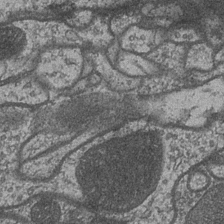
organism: Drosophila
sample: Optic medulla